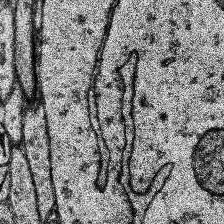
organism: Human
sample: Temporal Lobe